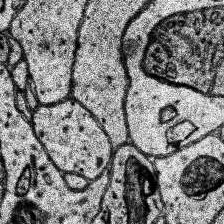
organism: Human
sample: Temporal Lobe